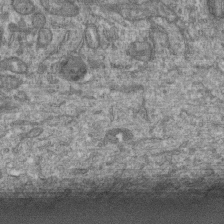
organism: Human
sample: Retinal organoid Rod and Cone cells